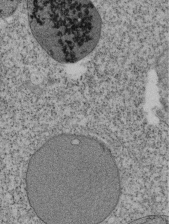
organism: Tetrahymena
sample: Cilia in tetrahymena